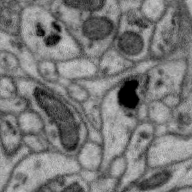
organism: Zebra finch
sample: Brain